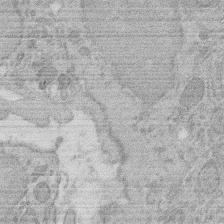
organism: Rat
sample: Salivary granule